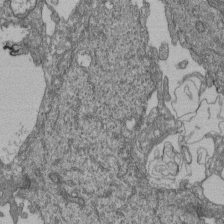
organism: Human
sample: Retinal organoid Rod and Cone cells